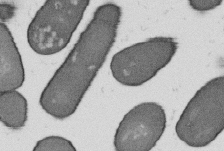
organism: B. subtilis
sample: Bacterial spore